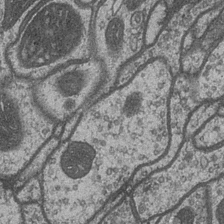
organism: Drosophila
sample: Optic medulla